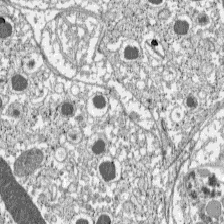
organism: C57BL Mouse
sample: Pancreatic islet